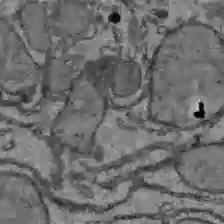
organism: C57BL Mouse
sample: Liver